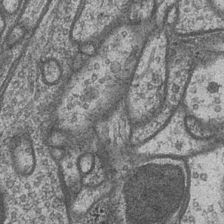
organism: Drosophila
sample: Optic medulla